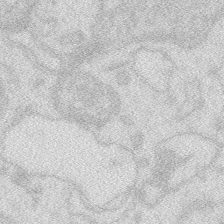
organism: Zebrafish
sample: Macrophage